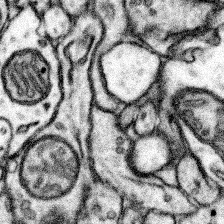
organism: Mouse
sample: Somatosensory cortex neuropil